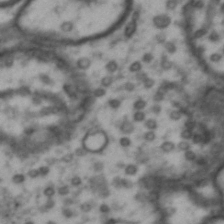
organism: Drosophila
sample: Brain